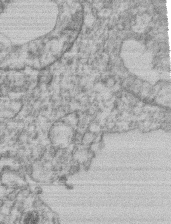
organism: Mouse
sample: T cell stromal cell synapse